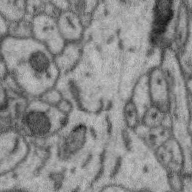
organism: Zebra finch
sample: Brain